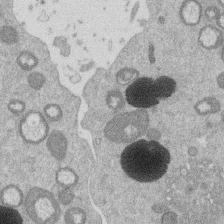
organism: Mouse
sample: Dividing mouse embryo 1 cell stage